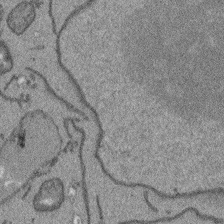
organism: Arabidopsis thaliana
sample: Root tip